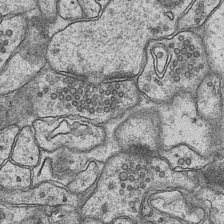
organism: Mouse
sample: CA1 Hippocampus